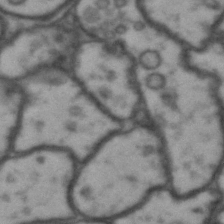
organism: Drosophila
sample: Brain